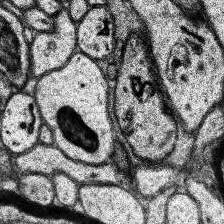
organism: Human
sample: Temporal Lobe